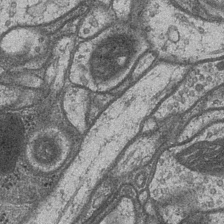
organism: Drosophila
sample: Optic medulla